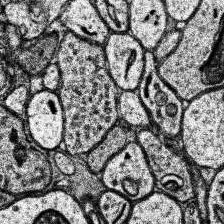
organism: Human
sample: Temporal Lobe